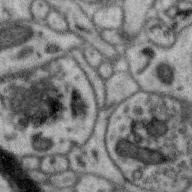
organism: Zebra finch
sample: Brain